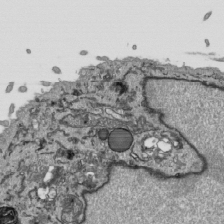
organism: Human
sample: Mitochondria in HCT116 cells